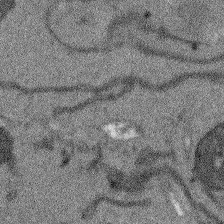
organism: Arabidopsis thaliana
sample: Root tip